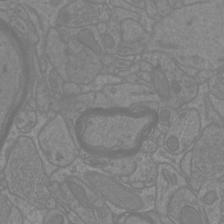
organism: Mouse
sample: Cortical neurons